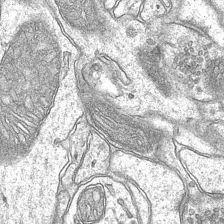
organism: Mouse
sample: CA1 Hippocampus